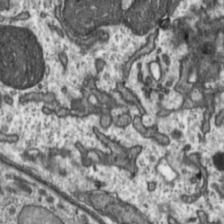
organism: Toxoplasma gondii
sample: Parasites in a vacuole inside a host cell